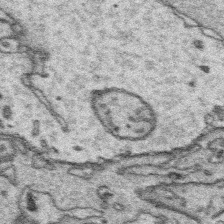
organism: Platynereis dumerilii